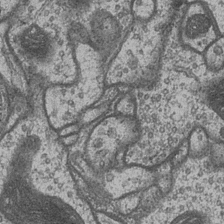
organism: Drosophila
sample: Optic medulla